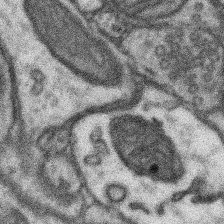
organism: Mouse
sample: Somatosensory cortex neuropil